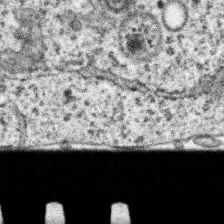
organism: Human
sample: HeLa cells